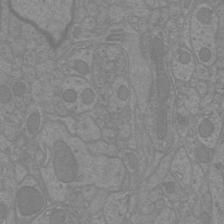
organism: Mouse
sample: Cortical neurons